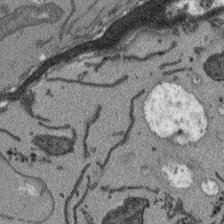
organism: Arabidopsis thaliana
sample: Root tip